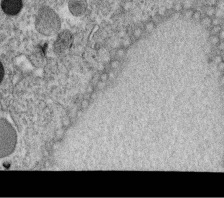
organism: C. elegans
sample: C. elegans oocyte; sperm cells